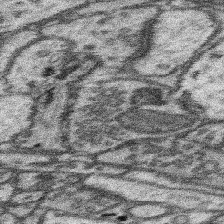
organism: Mouse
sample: Somatosensory cortex neuropil